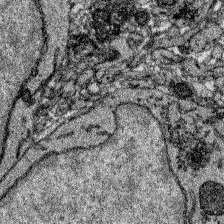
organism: Zebrafish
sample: Larval olfactory bulb